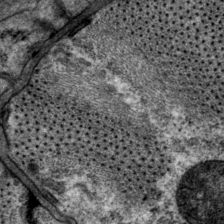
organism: P. pacificus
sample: Pharynx